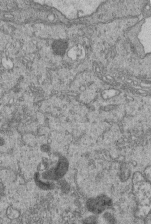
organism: Human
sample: Retinal organoid Rod and Cone cells